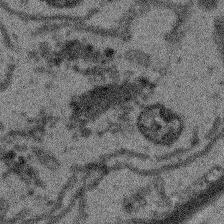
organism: Arabidopsis thaliana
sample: Root tip